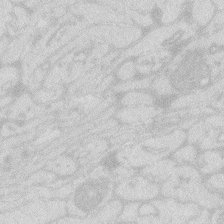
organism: Zebrafish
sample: Macrophage